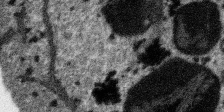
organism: Human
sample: Lung epithelial cells infected with SARS-CoV-2